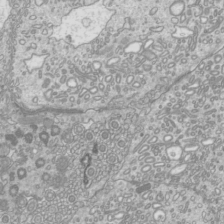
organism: Mouse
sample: Cilia; mouse epididymis